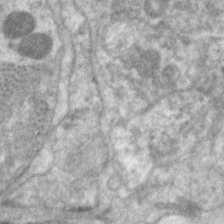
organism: C. elegans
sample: Pharynx